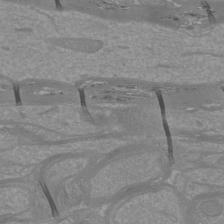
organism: Mouse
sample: Cortical neurons